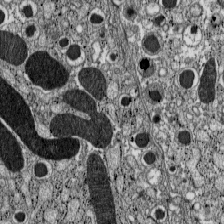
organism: C57BL Mouse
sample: Pancreatic islet